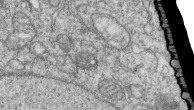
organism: Human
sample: HeLa cell HIV synapse